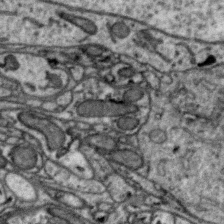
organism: Zebra finch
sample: Brain